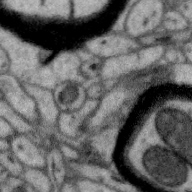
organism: Zebra finch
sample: Brain